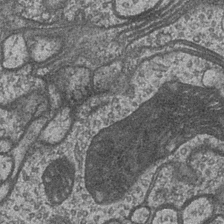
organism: Drosophila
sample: Optic medulla